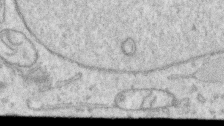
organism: Human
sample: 1205lu cells